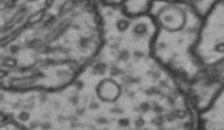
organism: Drosophila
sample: Brain